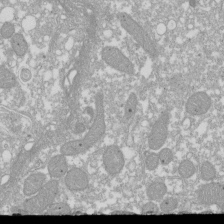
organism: Xenopus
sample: Cilia; centrioles in frog embryo cells